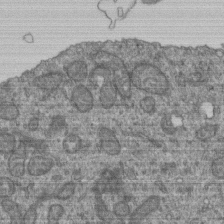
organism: Human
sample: Retinal organoid Rod and Cone cells